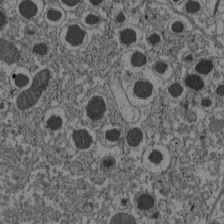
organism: C57BL Mouse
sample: Pancreatic islet